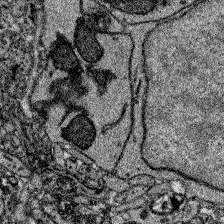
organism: Zebrafish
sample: Larval olfactory bulb